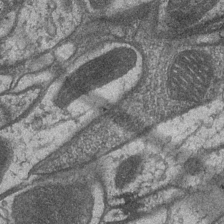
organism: Drosophila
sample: Optic medulla